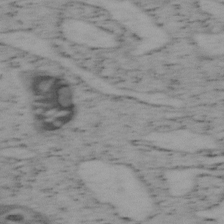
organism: Mouse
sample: OT-I killer T cells with ID8 ovarian cancer cells